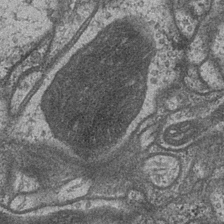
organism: Drosophila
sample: Optic medulla